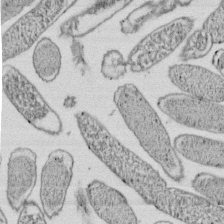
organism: E. coli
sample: Bacterial nucleoid